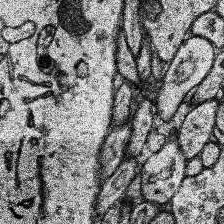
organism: Human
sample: Temporal Lobe